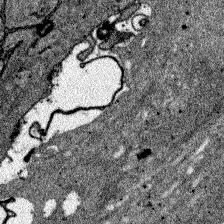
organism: Zebrafish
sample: Larval olfactory bulb